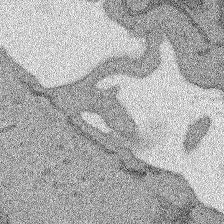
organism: Human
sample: HeLa cells